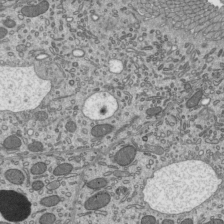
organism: Mouse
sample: Mouse epididymis efferent ductule cilia